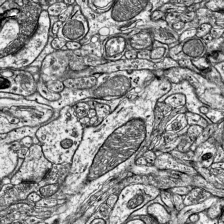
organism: Mouse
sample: Visual Cortex